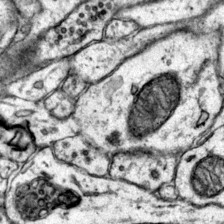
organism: Mouse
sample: Primary visual cortex